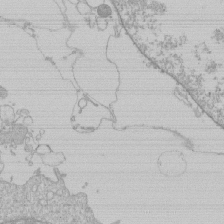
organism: Human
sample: Macrophage cells